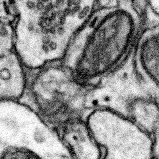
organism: Mouse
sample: Somatosensory cortex neuropil